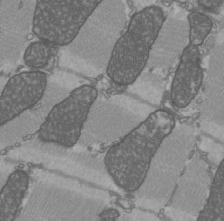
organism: C57BL Mouse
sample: Heart